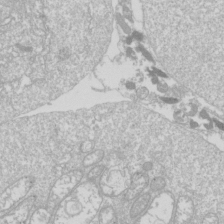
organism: Drosophila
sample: Cell division; meiosis; drosophila spermatocytes